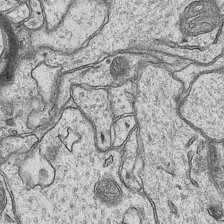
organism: Mouse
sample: CA1 Hippocampus